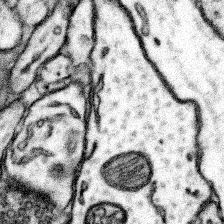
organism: Mouse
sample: Somatosensory cortex neuropil